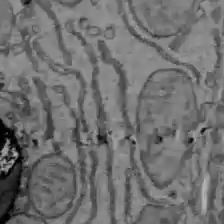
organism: C57BL Mouse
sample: Liver